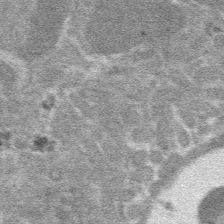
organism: Mouse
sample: Mouse hepatocytes